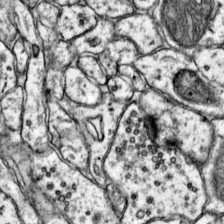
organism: Mouse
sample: Primary visual cortex